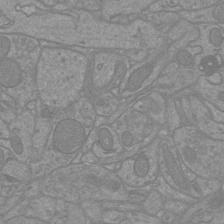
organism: Mouse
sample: Cortical neurons